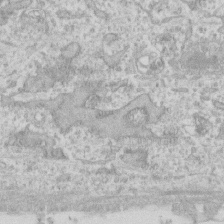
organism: Human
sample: Fibroblast cells